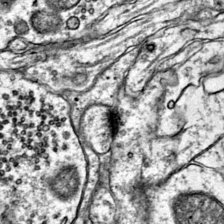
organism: Mouse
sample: Primary visual cortex